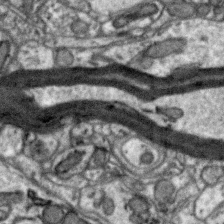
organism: Zebra finch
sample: Brain